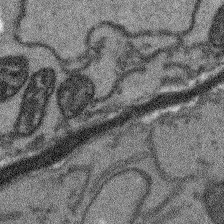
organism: Arabidopsis thaliana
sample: Root tip